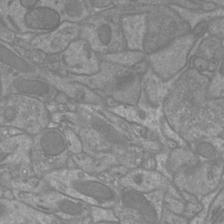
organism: Mouse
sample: Cortical neurons